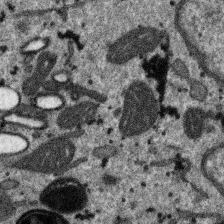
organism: Human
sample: Lung epithelial cells infected with SARS-CoV-2